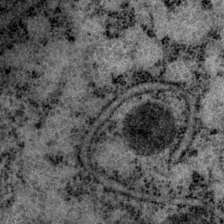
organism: P. pacificus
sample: Pharynx